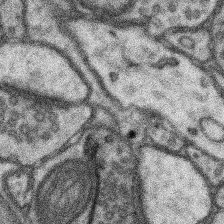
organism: Mouse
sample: Somatosensory cortex neuropil